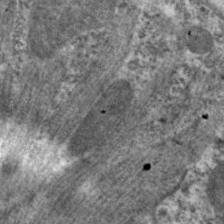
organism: C. elegans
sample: Pharynx